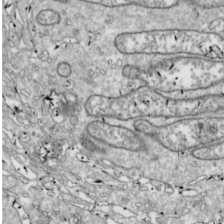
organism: Drosophila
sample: Cell division; meiosis; drosophila spermatocytes